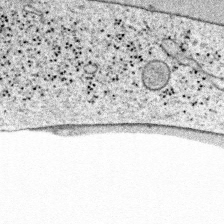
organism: Human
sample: HeLa cells